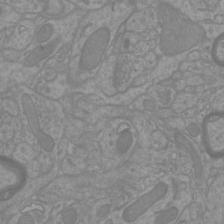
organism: Mouse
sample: Cortical neurons